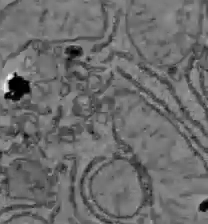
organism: C57BL Mouse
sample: Liver